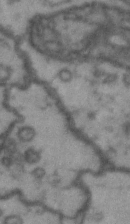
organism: Drosophila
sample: Brain